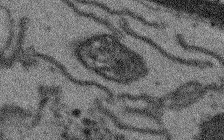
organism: Arabidopsis thaliana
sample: Root tip